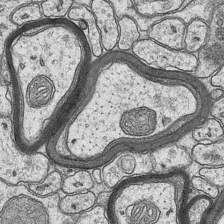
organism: Mouse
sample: CA1 Hippocampus